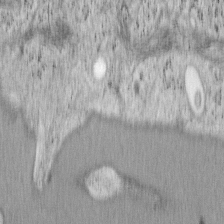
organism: Human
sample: HeLa cells